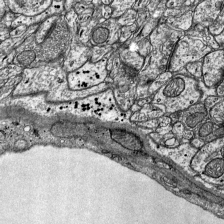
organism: Mouse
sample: Visual Cortex